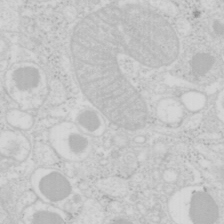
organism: Mouse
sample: Pancreas